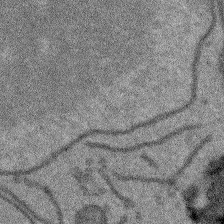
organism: Arabidopsis thaliana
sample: Root tip